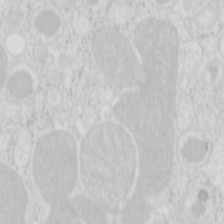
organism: Mouse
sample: Pancreas